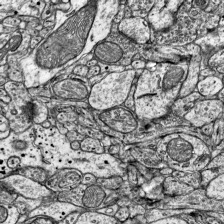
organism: Mouse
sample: Visual Cortex